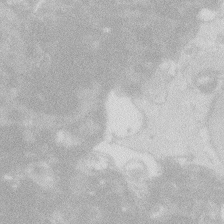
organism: Zebrafish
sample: Macrophage